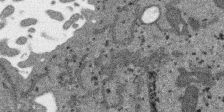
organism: Human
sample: Lung epithelial cells infected with SARS-CoV-2